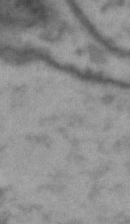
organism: Drosophila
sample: Brain